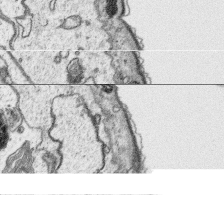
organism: Platynereis dumerilii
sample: Parapodia